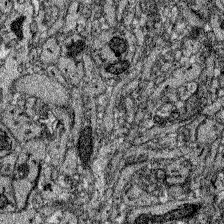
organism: Zebrafish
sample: Larval olfactory bulb